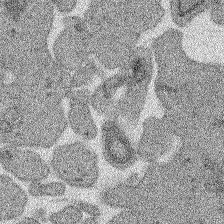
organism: Human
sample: HeLa cells